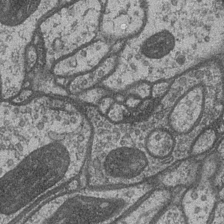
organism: Drosophila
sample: Optic medulla